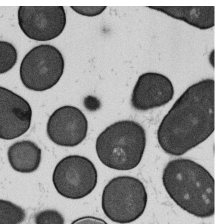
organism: B. subtilis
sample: Bacterial spore